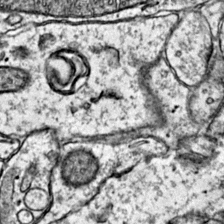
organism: Mouse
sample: Primary visual cortex